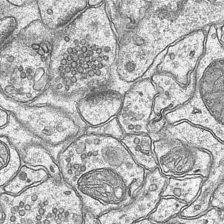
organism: Mouse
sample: CA1 Hippocampus